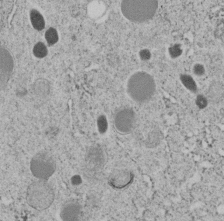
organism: C. elegans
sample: C. elegans embryo early stage